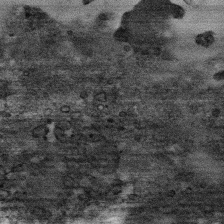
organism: Human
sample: CRL-1474